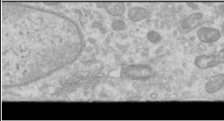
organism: Human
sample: Cilia; basal body in RPE cells